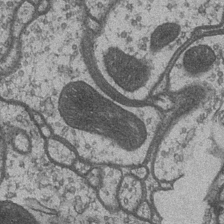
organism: Drosophila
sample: Optic medulla